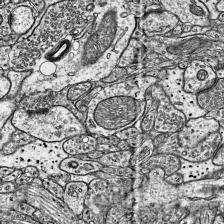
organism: Mouse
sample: Visual Cortex